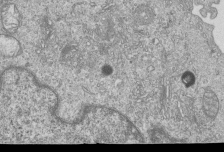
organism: Human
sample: MDA-MB-231 cells